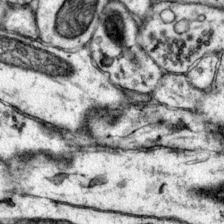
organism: Mouse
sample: Primary visual cortex